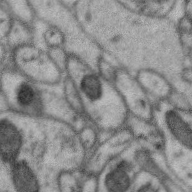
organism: Zebra finch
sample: Brain